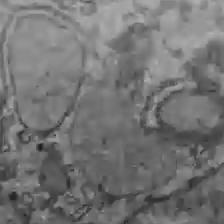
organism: C57BL Mouse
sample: Liver